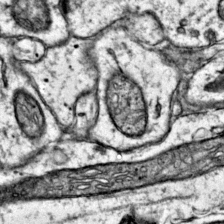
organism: Mouse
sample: Primary visual cortex